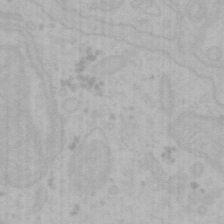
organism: Mouse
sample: Choroid plexus